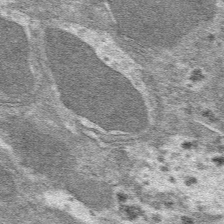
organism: Mouse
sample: Mouse hepatocytes